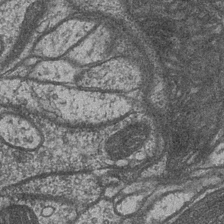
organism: Drosophila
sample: Optic medulla